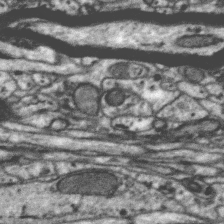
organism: Zebra finch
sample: Brain